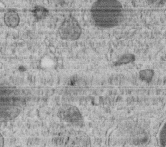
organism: C. elegans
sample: C. elegans embryo early stage